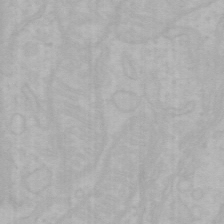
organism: Mouse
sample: Choroid plexus